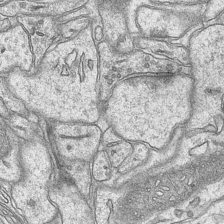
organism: Mouse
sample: CA1 Hippocampus